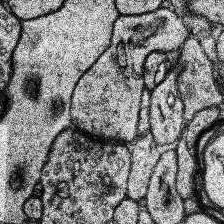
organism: Human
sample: Temporal Lobe